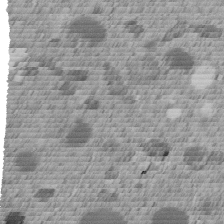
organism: C. elegans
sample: C. elegans embryo early stage